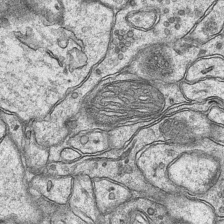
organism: Mouse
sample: CA1 Hippocampus